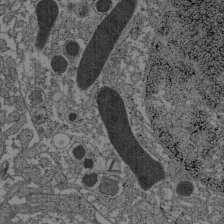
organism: C57BL Mouse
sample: Pancreatic islet